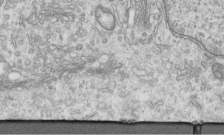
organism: Human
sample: Centriole in RPE cells